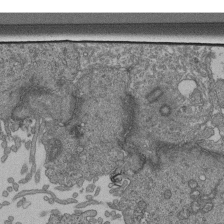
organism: Human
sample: Retinal organoid Rod and Cone cells